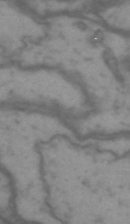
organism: Drosophila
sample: Brain